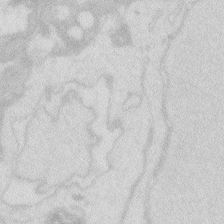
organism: Zebrafish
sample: Macrophage